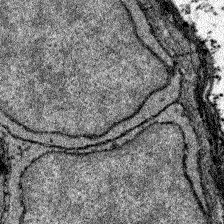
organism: Zebrafish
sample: Larval olfactory bulb